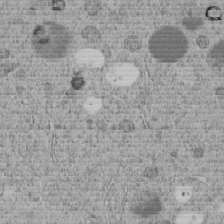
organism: C. elegans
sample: C. elegans embryo early stage